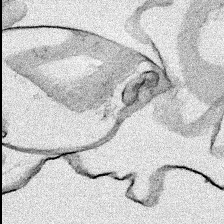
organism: Human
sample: Mitochondria in HCT116 cells